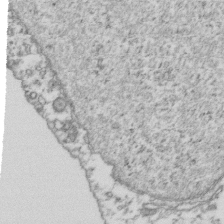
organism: Human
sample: Activated Jurkat CD4+ T cells